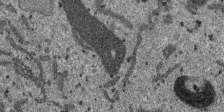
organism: Human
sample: Lung epithelial cells infected with SARS-CoV-2